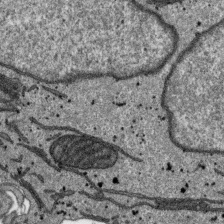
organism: Human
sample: Lung epithelial cells, uninfected (mock) control